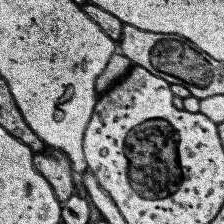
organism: Human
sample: Temporal Lobe